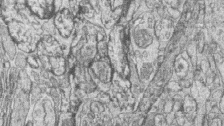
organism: Zebrafish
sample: synaptic ribbons in rod cells and cone cells